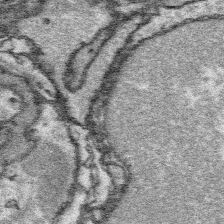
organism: Platynereis dumerilii